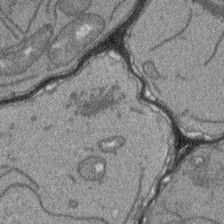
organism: Arabidopsis thaliana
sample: Root tip